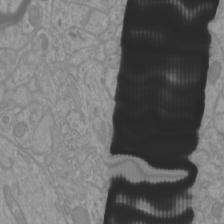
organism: Mouse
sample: Cortical neurons